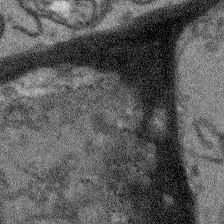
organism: Arabidopsis thaliana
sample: Root tip